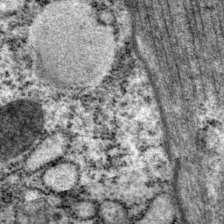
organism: P. pacificus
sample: Pharynx